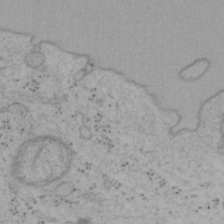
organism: Human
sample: HeLa cells